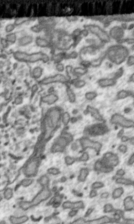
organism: Toxoplasma gondii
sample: Parasites in a vacuole inside a host cell